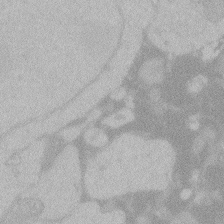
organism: Zebrafish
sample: Macrophage infected with Toxoplasma gondii